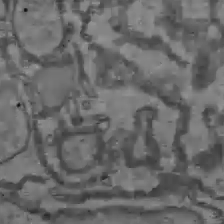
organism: C57BL Mouse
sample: Liver